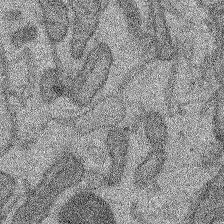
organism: Human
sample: HeLa cells